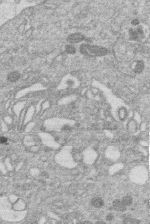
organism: Human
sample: Macrophage cells